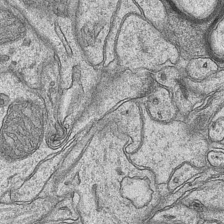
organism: Mouse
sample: CA1 Hippocampus